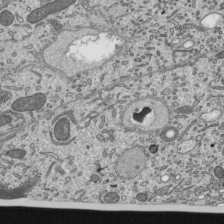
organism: Mouse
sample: Mouse epididymis efferent ductule cilia